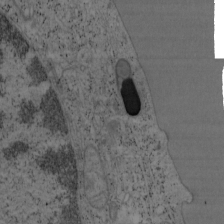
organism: Mouse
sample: OT-I killer T cells with ID8 ovarian cancer cells